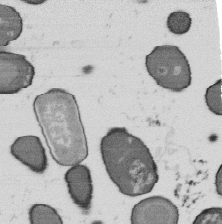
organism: B. subtilis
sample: Bacterial spore